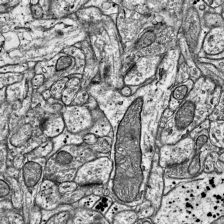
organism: Mouse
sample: Visual Cortex